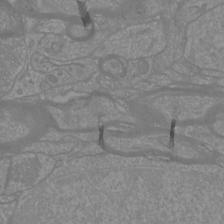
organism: Mouse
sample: Cortical neurons